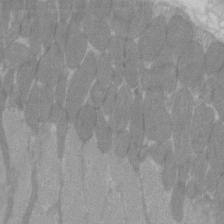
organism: C57BL Mouse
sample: Tibialis anterior muscle cell